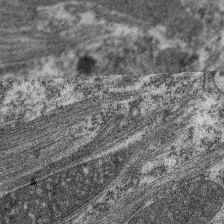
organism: C. elegans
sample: Pharynx